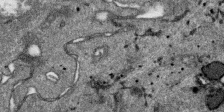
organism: Human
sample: Lung epithelial cells, uninfected (mock) control